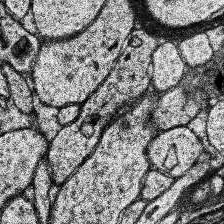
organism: Human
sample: Temporal Lobe